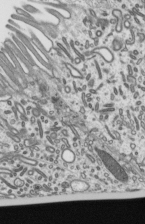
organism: Mouse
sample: Mouse epididymis efferent ductule cilia